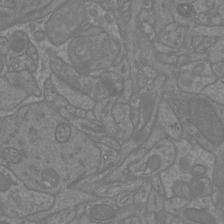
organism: Mouse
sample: Cortical neurons